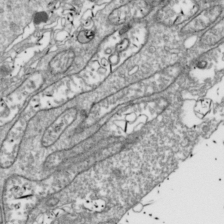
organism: Drosophila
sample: Cell division; meiosis; drosophila spermatocytes